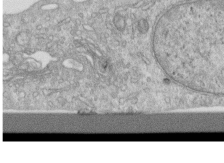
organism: Human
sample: Centriole in RPE cells